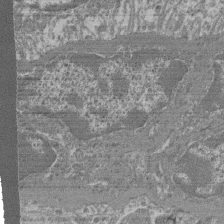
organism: Mouse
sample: Glomerulus